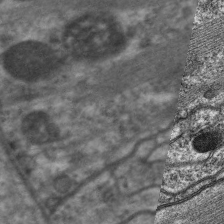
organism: C. elegans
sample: Pharynx